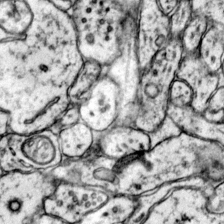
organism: Mouse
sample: Primary visual cortex